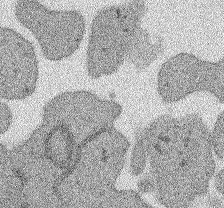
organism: Human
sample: HeLa cells